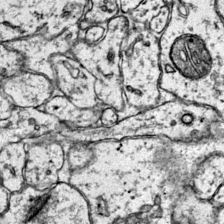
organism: Mouse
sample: Primary visual cortex